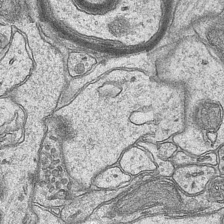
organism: Mouse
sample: CA1 Hippocampus